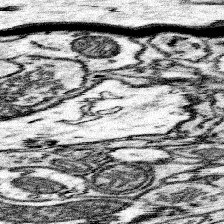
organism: Mouse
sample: Somatosensory cortex neuropil